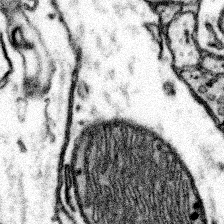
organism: Mouse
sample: Somatosensory cortex neuropil